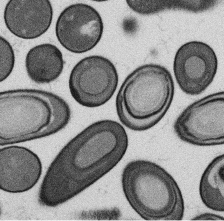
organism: B. subtilis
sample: Bacterial spore